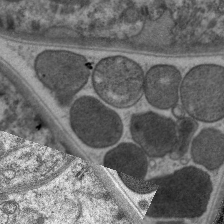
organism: C. elegans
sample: Pharynx